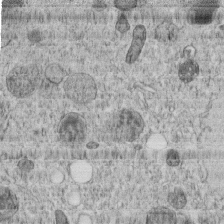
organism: C. elegans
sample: C. elegans embryo early stage